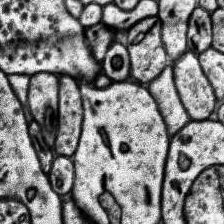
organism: Human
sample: Temporal Lobe